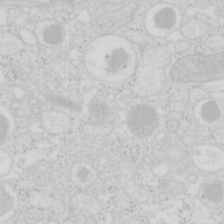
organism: Mouse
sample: Pancreas